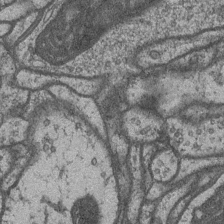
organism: Drosophila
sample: Optic medulla